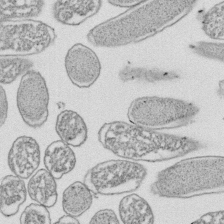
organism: E. coli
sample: Bacterial nucleoid